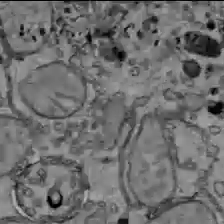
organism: C57BL Mouse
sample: Liver